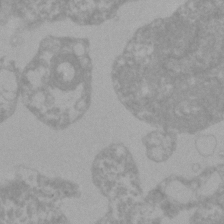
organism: Zebrafish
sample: Zebrafish embryo